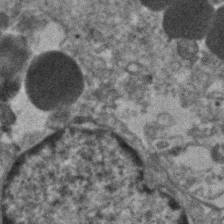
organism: Human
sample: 1205lu cells